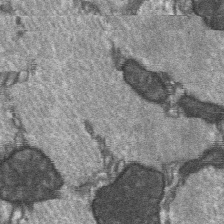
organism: C57BL Mouse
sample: Soleus